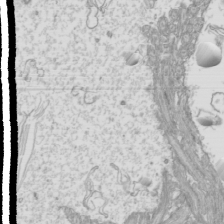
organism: Mouse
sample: Cilia; mouse epididymis